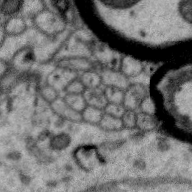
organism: Zebra finch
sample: Brain